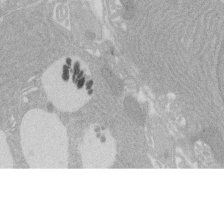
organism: Rat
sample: Salivary granule